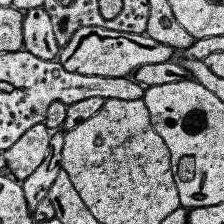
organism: Human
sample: Temporal Lobe